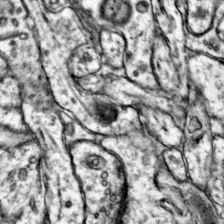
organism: Mouse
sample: Primary visual cortex